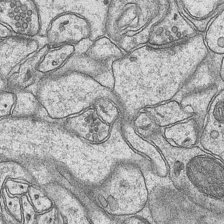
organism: Mouse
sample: CA1 Hippocampus